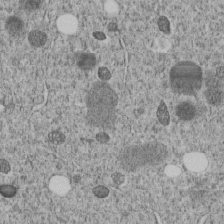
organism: C. elegans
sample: C. elegans embryo early stage